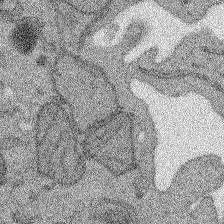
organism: Human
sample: HeLa cells